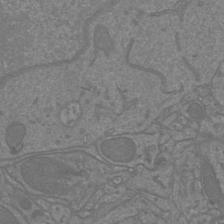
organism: Mouse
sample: Cortical neurons